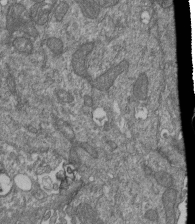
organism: Human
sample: Retinal organoid Rod and Cone cells